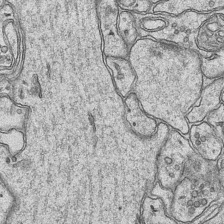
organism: Mouse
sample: CA1 Hippocampus